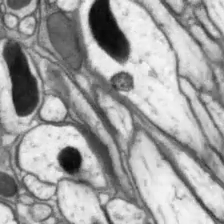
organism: Drosophila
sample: Optic lobe